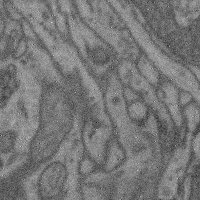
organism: Mouse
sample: Cerebral cortex